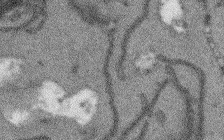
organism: Arabidopsis thaliana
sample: Root tip